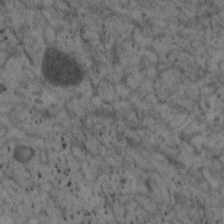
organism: Human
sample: HeLa cells